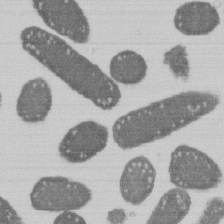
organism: E. coli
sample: Bacterial nucleoid